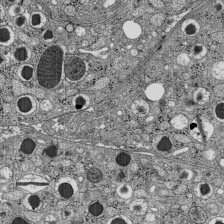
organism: C57BL Mouse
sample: Pancreatic islet